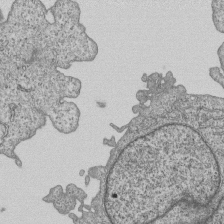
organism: Human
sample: MDA-MB-231 cells